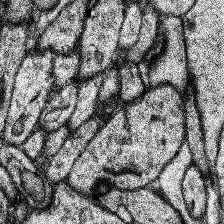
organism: Human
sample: Temporal Lobe